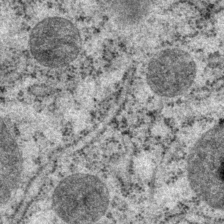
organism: P. pacificus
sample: Pharynx